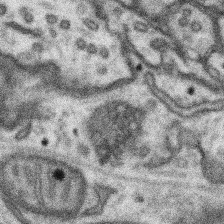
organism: Mouse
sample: Somatosensory cortex neuropil